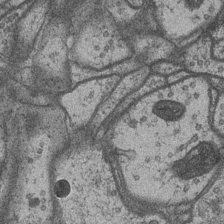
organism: Drosophila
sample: Optic medulla